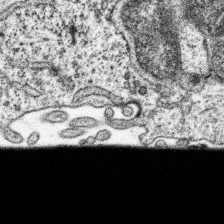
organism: Human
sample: HeLa cells